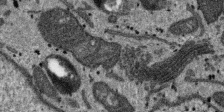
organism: Human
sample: Lung epithelial cells, uninfected (mock) control